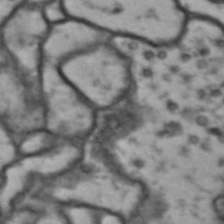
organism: Drosophila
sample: Brain